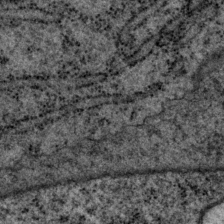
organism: P. pacificus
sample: Pharynx